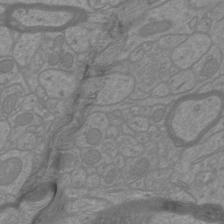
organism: Mouse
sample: Cortical neurons